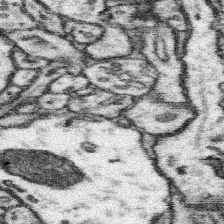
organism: Mouse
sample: Somatosensory cortex neuropil